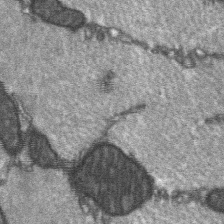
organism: C57BL Mouse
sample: Soleus